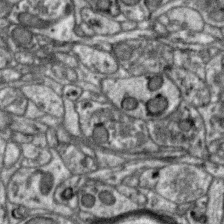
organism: Zebra finch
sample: Brain